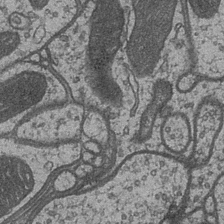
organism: Drosophila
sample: Optic medulla